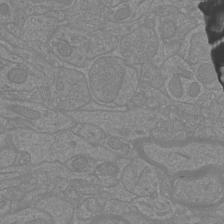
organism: Mouse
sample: Cortical neurons